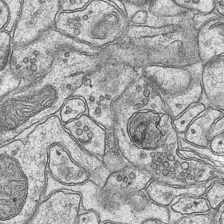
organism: Mouse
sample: CA1 Hippocampus